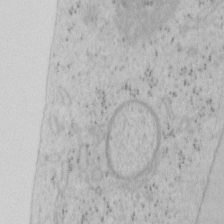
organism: Human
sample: HeLa cells